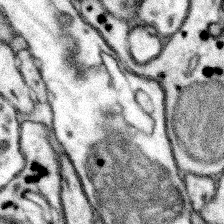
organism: Mouse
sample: Somatosensory cortex neuropil